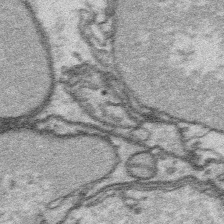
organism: Platynereis dumerilii